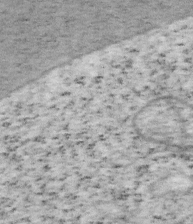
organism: Mouse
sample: OT-I killer T cells with ID8 ovarian cancer cells